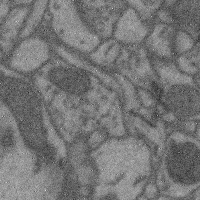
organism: Mouse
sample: Cerebral cortex